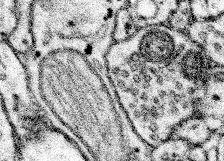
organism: Mouse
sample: Somatosensory cortex neuropil